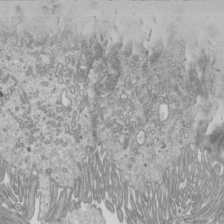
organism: Mouse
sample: Cilia; mouse epididymis